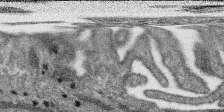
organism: Human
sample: Lung epithelial cells infected with SARS-CoV-2